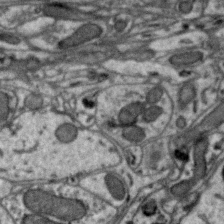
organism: Zebra finch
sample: Brain